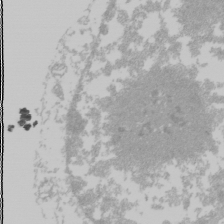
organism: Mouse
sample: Cancer cell death in ED-1 cells